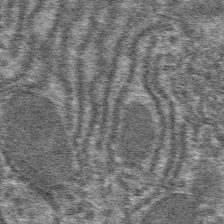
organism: Mouse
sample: Mouse hepatocytes